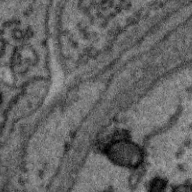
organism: Zebra finch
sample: Brain